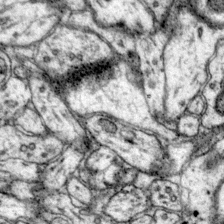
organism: Mouse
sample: Primary visual cortex